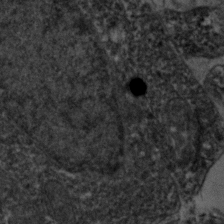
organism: Zebrafish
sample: Zebrafish embryo